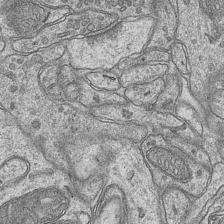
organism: Mouse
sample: CA1 Hippocampus